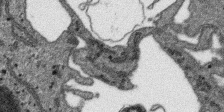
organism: Human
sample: Lung epithelial cells infected with SARS-CoV-2